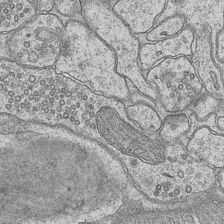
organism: Mouse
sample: CA1 Hippocampus